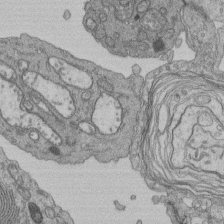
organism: Human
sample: Retinal organoid Rod and Cone cells